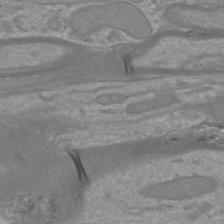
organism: Mouse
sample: Cortical neurons